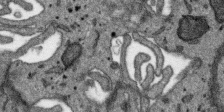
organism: Human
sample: Lung epithelial cells, uninfected (mock) control